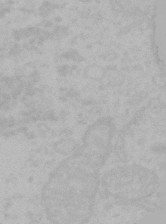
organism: Mouse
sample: Choroid plexus